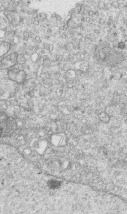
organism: Human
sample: HeLa cell HIV synapse